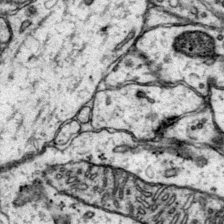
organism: Mouse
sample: Primary visual cortex